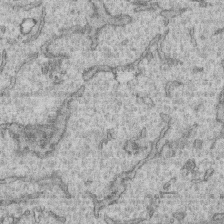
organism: Human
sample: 1205lu cells